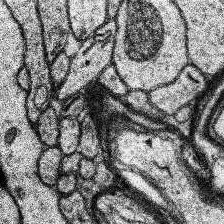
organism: Human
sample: Temporal Lobe